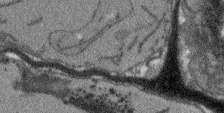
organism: Arabidopsis thaliana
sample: Root tip